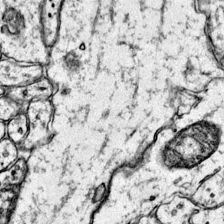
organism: Mouse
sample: Primary visual cortex